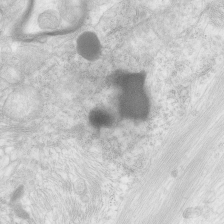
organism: Human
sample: Neocortex